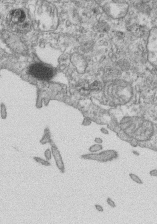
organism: Human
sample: HeLa cell HIV synapse